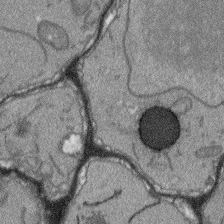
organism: Arabidopsis thaliana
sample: Root tip